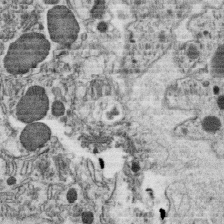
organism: C. elegans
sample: C. elegans oocyte; sperm cells